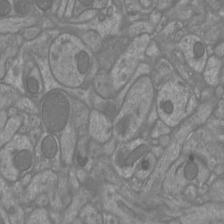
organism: Mouse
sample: Cortical neurons